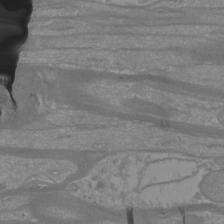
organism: Mouse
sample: Cortical neurons